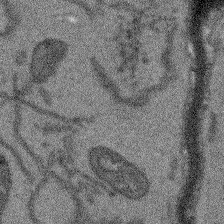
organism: Arabidopsis thaliana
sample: Root tip